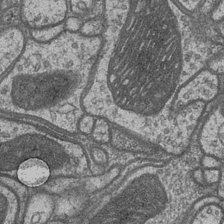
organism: Drosophila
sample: Optic medulla